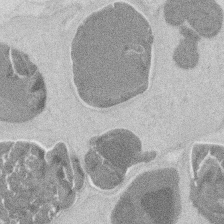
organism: Mouse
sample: T cell stromal cell synapse